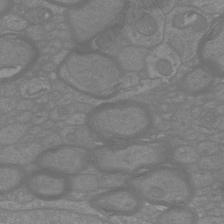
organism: Mouse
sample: Cortical neurons